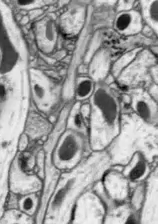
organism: Drosophila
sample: Optic lobe